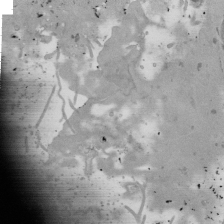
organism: Mouse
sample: ED-1 cell nuclei; centrioles